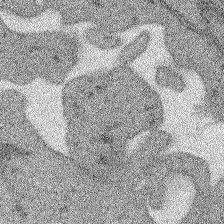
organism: Human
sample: HeLa cells